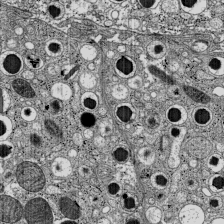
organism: C57BL Mouse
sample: Pancreatic islet